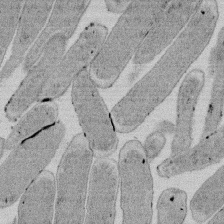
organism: E. coli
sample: Bacterial nucleoid